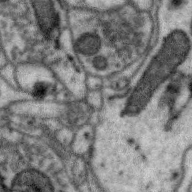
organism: Zebra finch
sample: Brain